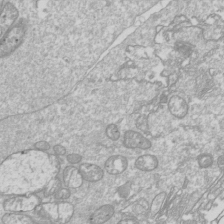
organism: Drosophila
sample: Cell division; meiosis; drosophila spermatocytes